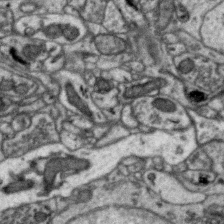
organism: Zebra finch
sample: Brain